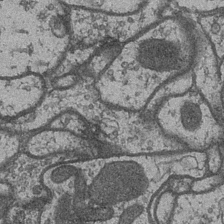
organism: Drosophila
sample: Optic medulla